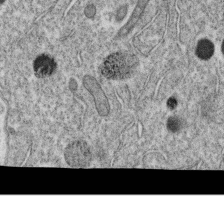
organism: C. elegans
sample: C. elegans oocyte; sperm cells